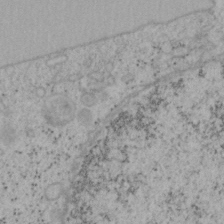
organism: Human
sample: HeLa cells